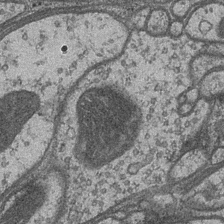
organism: Drosophila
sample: Optic medulla